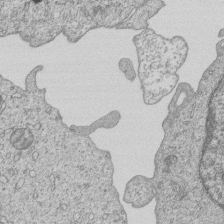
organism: Human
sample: MDA-MB-231 cells